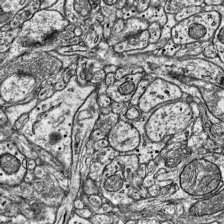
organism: Mouse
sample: Visual Cortex